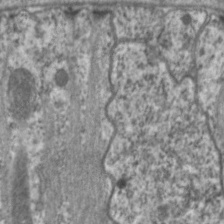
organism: C. elegans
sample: Pharynx